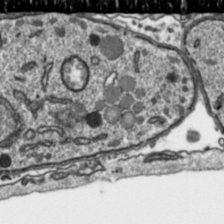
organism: Toxoplasma gondii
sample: Parasites in a vacuole inside a host cell